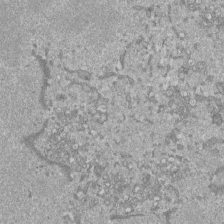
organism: Mouse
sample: ED-1 cell nuclei; centrioles